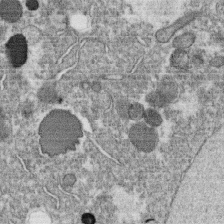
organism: C. elegans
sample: C. elegans oocyte; sperm cells